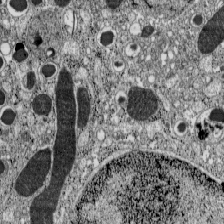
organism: C57BL Mouse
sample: Pancreatic islet